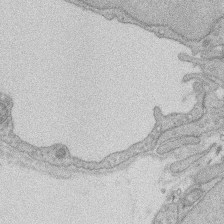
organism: Rat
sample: Salivary granule